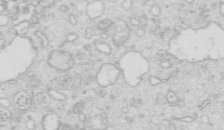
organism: Mouse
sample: Multiciliated cells